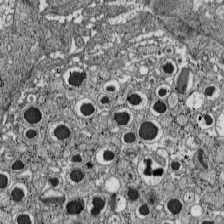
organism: C57BL Mouse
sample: Pancreatic islet